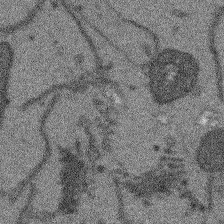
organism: Arabidopsis thaliana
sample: Root tip